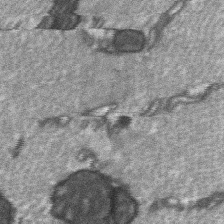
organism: C57BL Mouse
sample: Soleus